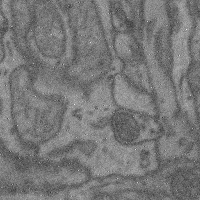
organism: Mouse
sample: Cerebral cortex